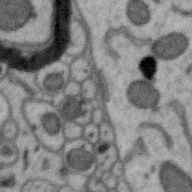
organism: Zebra finch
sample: Brain